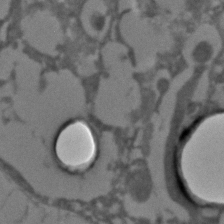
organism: C. elegans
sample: C. elegans embryo